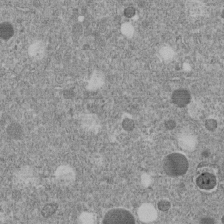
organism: C. elegans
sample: C. elegans embryo early stage